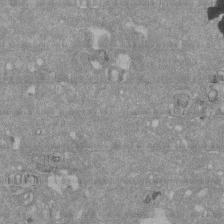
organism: Mouse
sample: ED-1 cell nuclei; centrioles